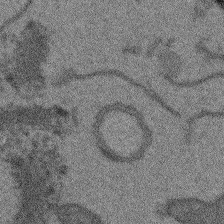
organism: Arabidopsis thaliana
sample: Root tip